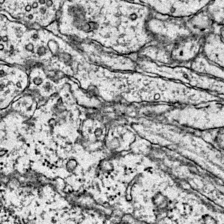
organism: Mouse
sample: Primary visual cortex